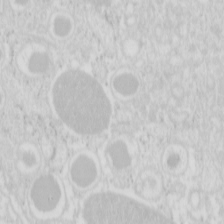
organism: Mouse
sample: Pancreas